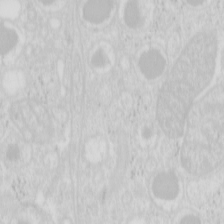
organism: Mouse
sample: Pancreas